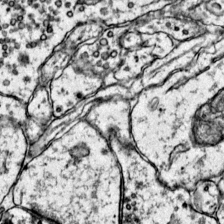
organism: Mouse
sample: Primary visual cortex